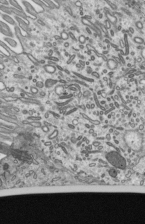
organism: Mouse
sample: Mouse epididymis efferent ductule cilia